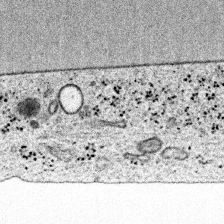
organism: Human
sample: HeLa cells